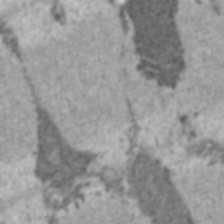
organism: C57BL Mouse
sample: Heart